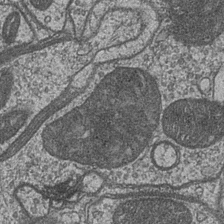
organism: Drosophila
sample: Optic medulla